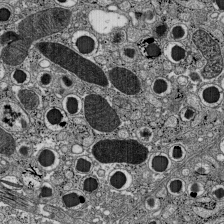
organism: C57BL Mouse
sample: Pancreatic islet